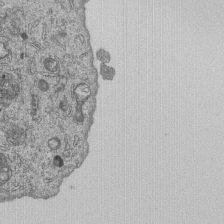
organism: Human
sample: MDA-MB-231 cells